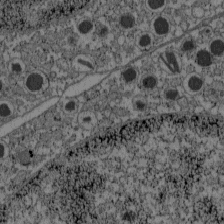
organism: C57BL Mouse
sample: Pancreatic islet